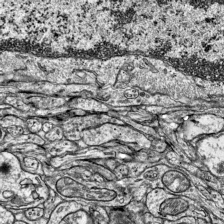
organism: Mouse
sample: Visual Cortex